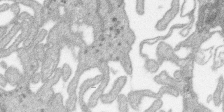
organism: Human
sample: Lung epithelial cells infected with SARS-CoV-2